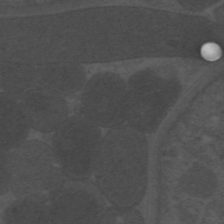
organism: C. elegans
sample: Pharynx